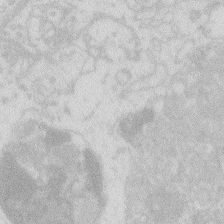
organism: Zebrafish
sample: Macrophage